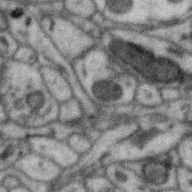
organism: Zebra finch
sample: Brain